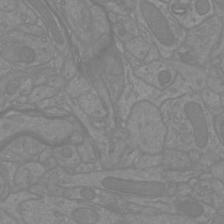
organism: Mouse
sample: Cortical neurons